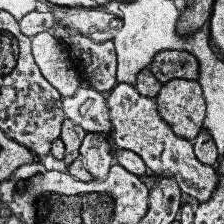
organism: Human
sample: Temporal Lobe